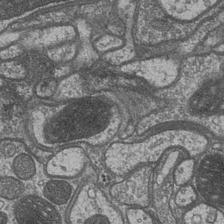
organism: Drosophila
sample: Optic medulla